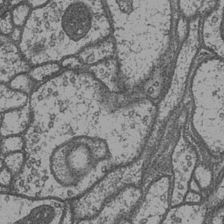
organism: Drosophila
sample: Optic medulla